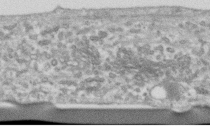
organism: Human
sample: Centriole in RPE cells